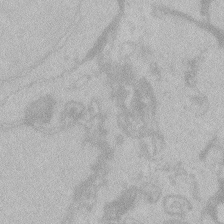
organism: Zebrafish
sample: Macrophage infected with Toxoplasma gondii